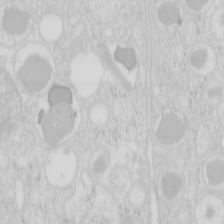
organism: Mouse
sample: Pancreas